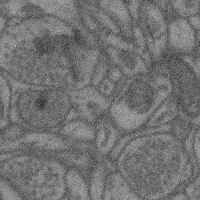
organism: Mouse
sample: Cerebral cortex